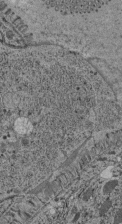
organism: C. elegans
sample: C. elegans pharynx